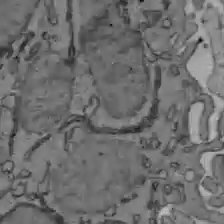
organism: C57BL Mouse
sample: Liver